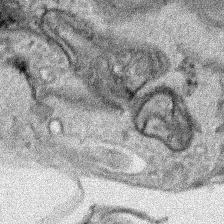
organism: Human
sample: Mitochondria in HCT116 cells